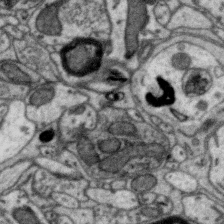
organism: Zebra finch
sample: Brain